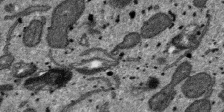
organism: Human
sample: Lung epithelial cells, uninfected (mock) control